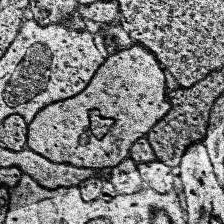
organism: Human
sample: Temporal Lobe